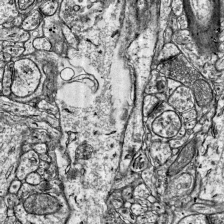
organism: Mouse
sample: Visual Cortex